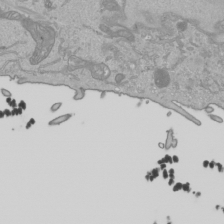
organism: Human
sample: Mitochondria in HCT116 cells